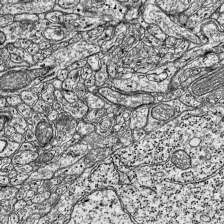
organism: Mouse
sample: Visual Cortex